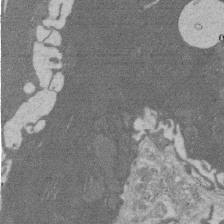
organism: Rat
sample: Salivary granule